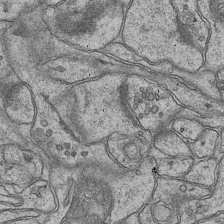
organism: Mouse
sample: CA1 Hippocampus